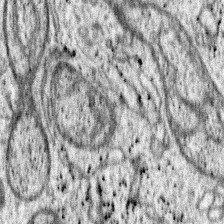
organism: Human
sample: HeLa cells